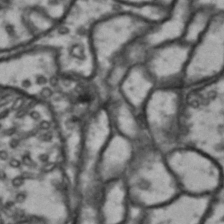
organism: Drosophila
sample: Brain